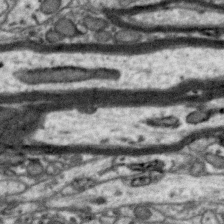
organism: Zebra finch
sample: Brain